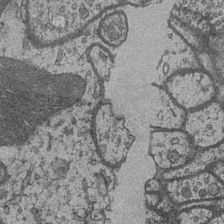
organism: Drosophila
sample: Optic medulla